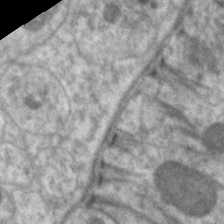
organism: C. elegans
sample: Pharynx